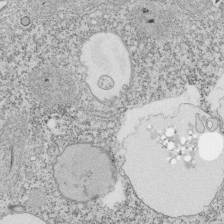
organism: Tetrahymena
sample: Cilia in tetrahymena